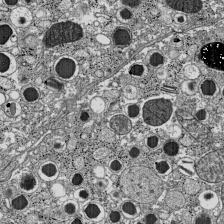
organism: C57BL Mouse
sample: Pancreatic islet